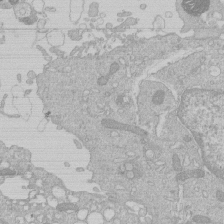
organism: Human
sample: Macrophage cells